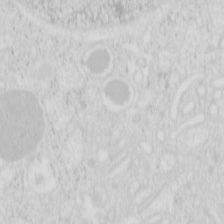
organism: Mouse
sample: Pancreas